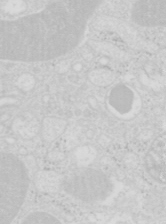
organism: Mouse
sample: Pancreas